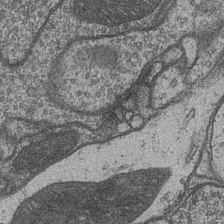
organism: Drosophila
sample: Optic medulla